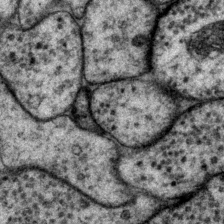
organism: P. pacificus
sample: Pharynx